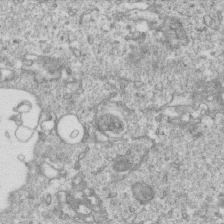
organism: Mouse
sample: Activated OT-1 CD8+ T cells